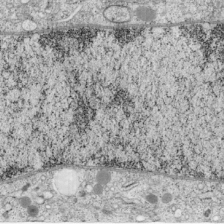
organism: African green monkey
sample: COS-7 cells